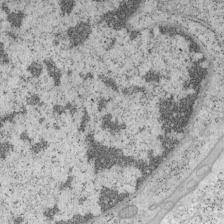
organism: Mouse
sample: OT-I killer T cells with ID8 ovarian cancer cells